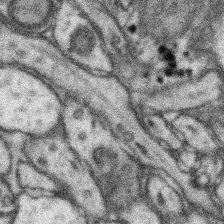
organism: Mouse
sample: Somatosensory cortex neuropil